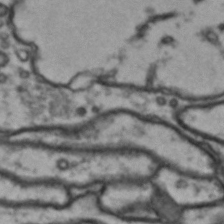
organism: Drosophila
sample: Brain